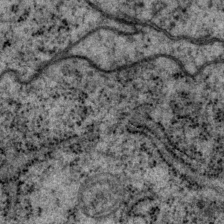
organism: P. pacificus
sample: Pharynx